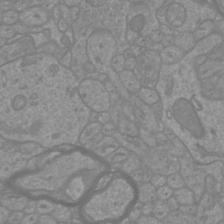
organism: Mouse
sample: Cortical neurons